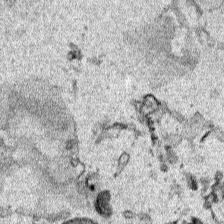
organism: Human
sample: Mitochondria in HCT116 cells